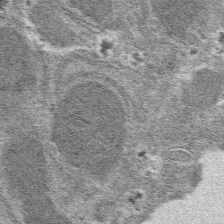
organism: Mouse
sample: Mouse hepatocytes